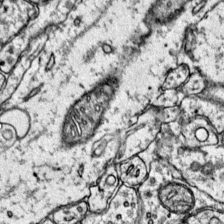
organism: Mouse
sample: Primary visual cortex